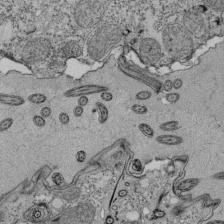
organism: Tetrahymena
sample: Cilia in tetrahymena